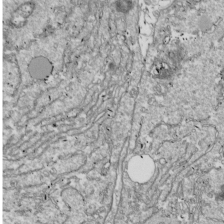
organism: Drosophila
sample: Cell division; meiosis; drosophila spermatocytes